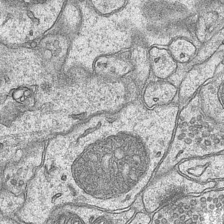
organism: Mouse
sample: CA1 Hippocampus